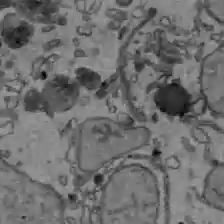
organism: C57BL Mouse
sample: Liver